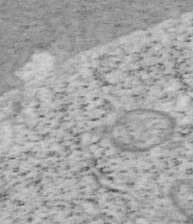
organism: Mouse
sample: OT-I killer T cells with ID8 ovarian cancer cells